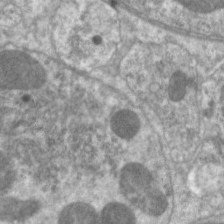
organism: C. elegans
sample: Pharynx